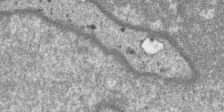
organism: Human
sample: Lung epithelial cells infected with SARS-CoV-2